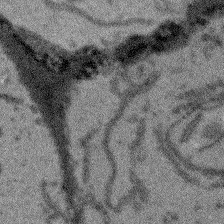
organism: Arabidopsis thaliana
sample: Root tip